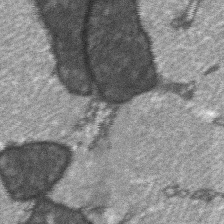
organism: C57BL Mouse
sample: Soleus